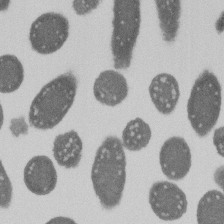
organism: E. coli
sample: Bacterial nucleoid